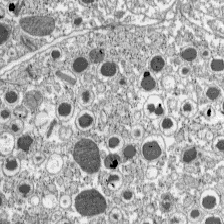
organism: C57BL Mouse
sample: Pancreatic islet